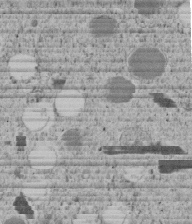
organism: C. elegans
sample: C. elegans embryo early stage